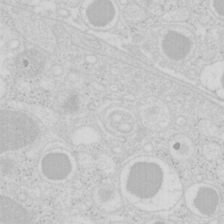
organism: Mouse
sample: Pancreas